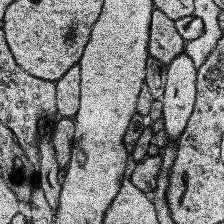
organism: Human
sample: Temporal Lobe